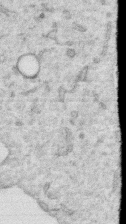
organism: Human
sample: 1205lu cells